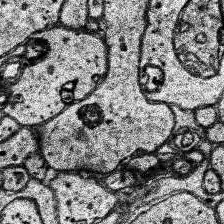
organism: Human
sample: Temporal Lobe